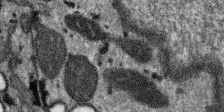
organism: Human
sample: Lung epithelial cells infected with SARS-CoV-2